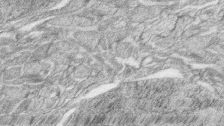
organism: Zebrafish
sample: synaptic ribbons in rod cells and cone cells